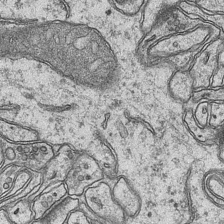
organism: Mouse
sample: CA1 Hippocampus